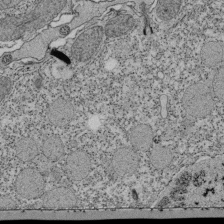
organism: Tetrahymena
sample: Cilia in tetrahymena